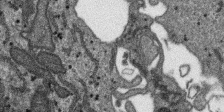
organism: Human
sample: Lung epithelial cells infected with SARS-CoV-2